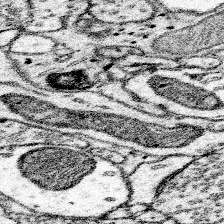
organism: Mouse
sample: Somatosensory cortex neuropil